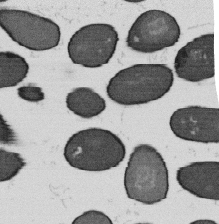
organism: B. subtilis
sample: Bacterial spore